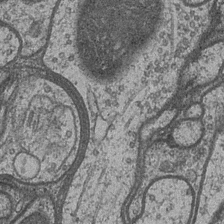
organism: Drosophila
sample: Optic medulla